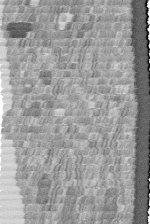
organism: Human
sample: Centriole in fibroblast cells